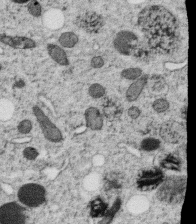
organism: C. elegans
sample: C. elegans oocyte; sperm cells